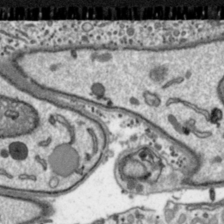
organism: Toxoplasma gondii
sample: Parasites in a vacuole inside a host cell